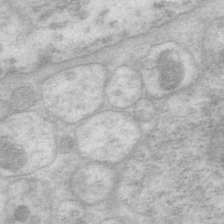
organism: P. pacificus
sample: Pharynx